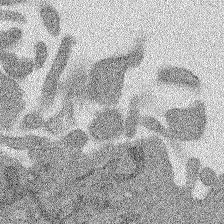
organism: Human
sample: HeLa cells